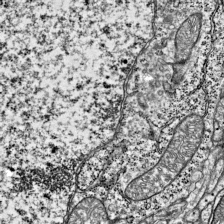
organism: Mouse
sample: Visual Cortex